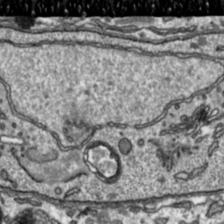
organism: Toxoplasma gondii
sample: Parasites in a vacuole inside a host cell